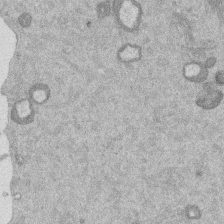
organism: Mouse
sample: Dividing mouse embryo 1 cell stage